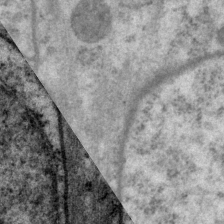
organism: P. pacificus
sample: Pharynx